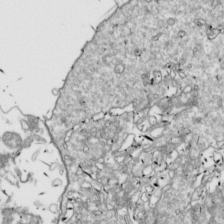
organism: Drosophila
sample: Cell division; meiosis; drosophila spermatocytes